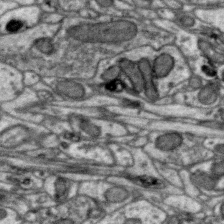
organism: Zebra finch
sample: Brain